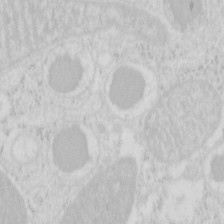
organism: Mouse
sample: Pancreas